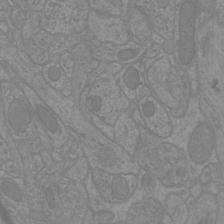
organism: Mouse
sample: Cortical neurons